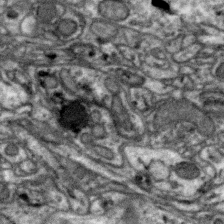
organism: Zebra finch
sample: Brain